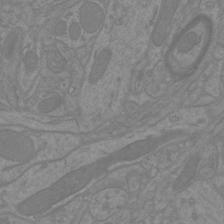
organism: Mouse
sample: Cortical neurons